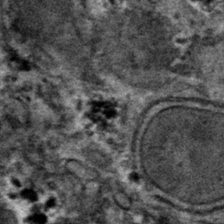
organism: Mouse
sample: Mouse hepatocytes